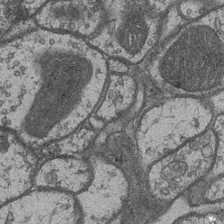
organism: Drosophila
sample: Optic medulla